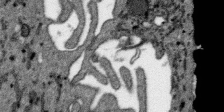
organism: Human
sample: Lung epithelial cells, uninfected (mock) control